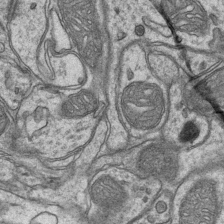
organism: Mouse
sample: CA1 Hippocampus